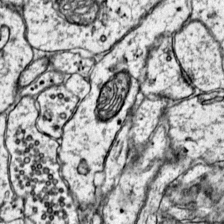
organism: Mouse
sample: Primary visual cortex